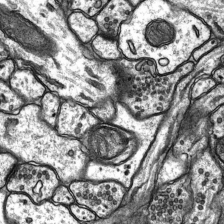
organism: Rat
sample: Hippocampus